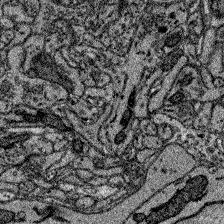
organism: Zebrafish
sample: Larval olfactory bulb